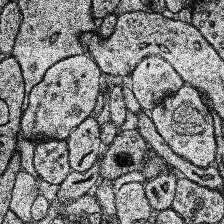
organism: Human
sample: Temporal Lobe